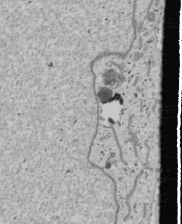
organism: Human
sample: Mitochondria in U2OS cells